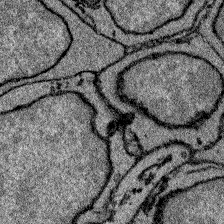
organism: Zebrafish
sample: Larval olfactory bulb